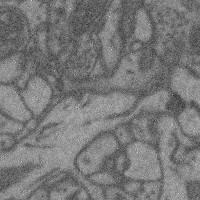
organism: Mouse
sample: Cerebral cortex